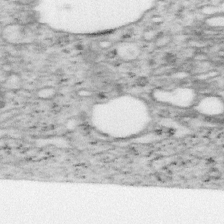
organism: Mouse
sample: OT-I killer T cells with ID8 ovarian cancer cells